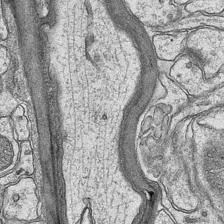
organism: Mouse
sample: CA1 Hippocampus